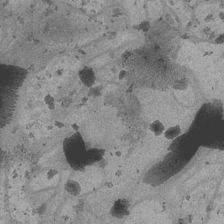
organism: Drosophila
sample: Optic medulla